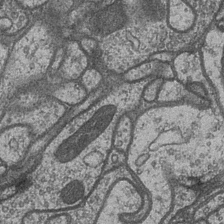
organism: Drosophila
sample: Optic medulla